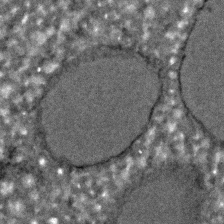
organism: C. elegans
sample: C. elegans embryo